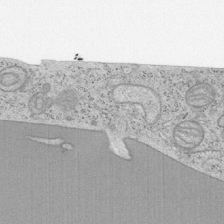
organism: Human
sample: HeLa cells